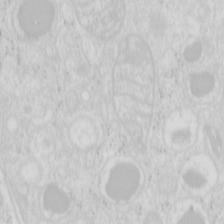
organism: Mouse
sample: Pancreas